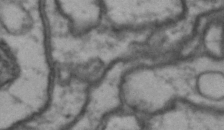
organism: Drosophila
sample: Brain